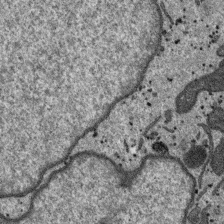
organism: Human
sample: Lung epithelial cells, uninfected (mock) control